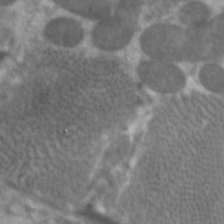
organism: C. elegans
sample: Pharynx